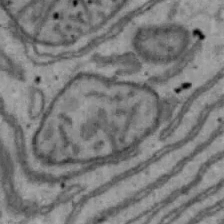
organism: Mouse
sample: Liver